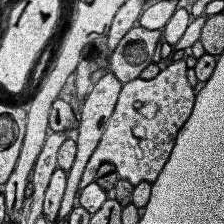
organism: Human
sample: Temporal Lobe